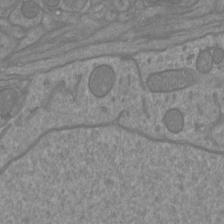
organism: Mouse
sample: Cortical neurons